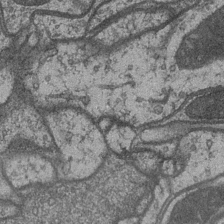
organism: Drosophila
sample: Optic medulla